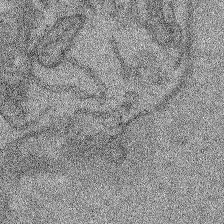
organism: Human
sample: HeLa cells